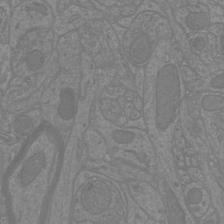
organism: Mouse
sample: Cortical neurons